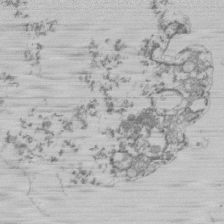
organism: Mouse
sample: Activated Pmel transgenic CD8+ T Cells